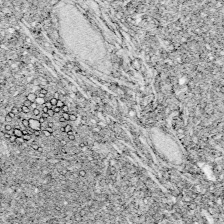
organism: Zebrafish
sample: Whole-Brain